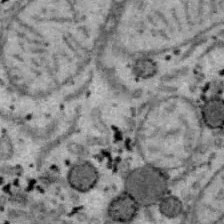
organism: Mouse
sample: Liver from an obese (ob/ob) mouse